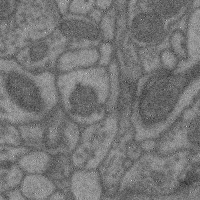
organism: Mouse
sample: Cerebral cortex